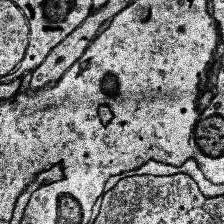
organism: Human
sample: Temporal Lobe